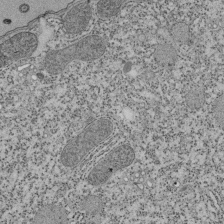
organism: Tetrahymena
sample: Cilia in tetrahymena